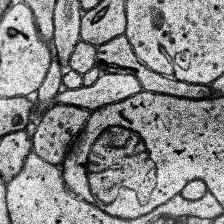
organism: Human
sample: Temporal Lobe